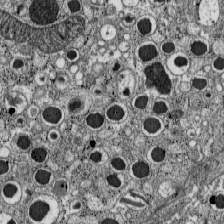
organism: C57BL Mouse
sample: Pancreatic islet